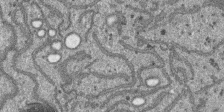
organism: Human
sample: Lung epithelial cells infected with SARS-CoV-2